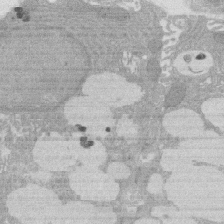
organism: Rat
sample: Salivary granule